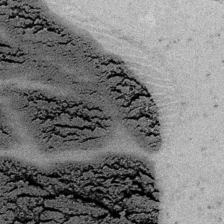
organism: Embia sp.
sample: Silk gland